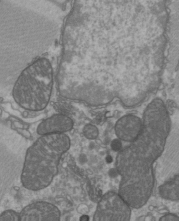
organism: C57BL Mouse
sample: Heart